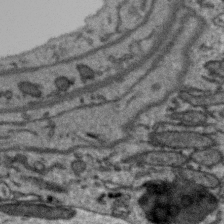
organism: Zebra finch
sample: Brain